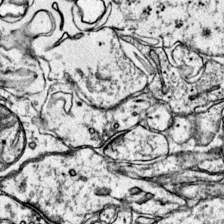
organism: Mouse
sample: Primary visual cortex